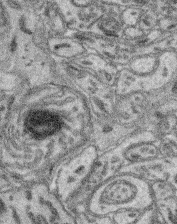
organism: Mouse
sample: Retina